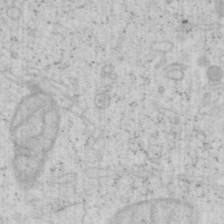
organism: Human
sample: HeLa cells